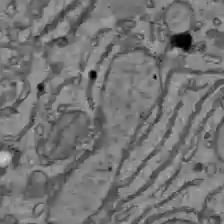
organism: C57BL Mouse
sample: Liver